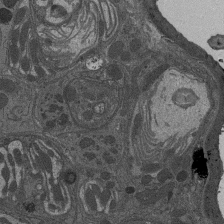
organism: Drosophila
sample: Antenna